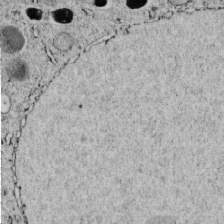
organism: C. elegans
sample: C. elegans embryo early stage